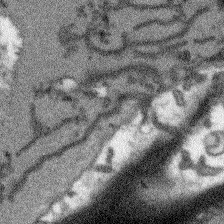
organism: Arabidopsis thaliana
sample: Root tip